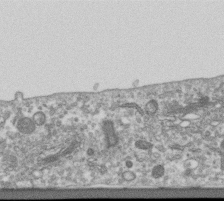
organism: Human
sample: Centriole in RPE cells